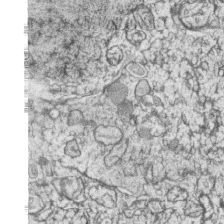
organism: Zebrafish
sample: synaptic ribbons in rod cells and cone cells